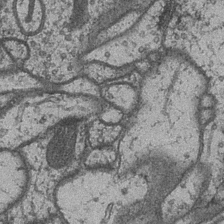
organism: Drosophila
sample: Optic medulla